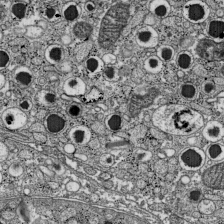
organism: C57BL Mouse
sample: Pancreatic islet